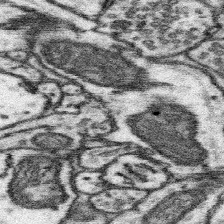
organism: Mouse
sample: Somatosensory cortex neuropil